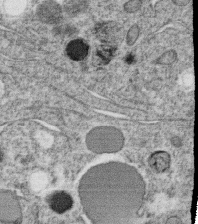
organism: C. elegans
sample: C. elegans oocyte; sperm cells